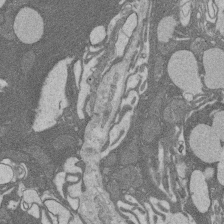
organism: Rat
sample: Salivary granule